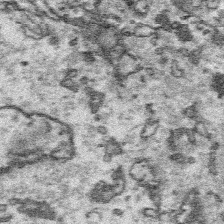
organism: Platynereis dumerilii